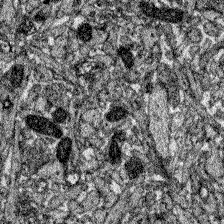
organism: Zebrafish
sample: Larval olfactory bulb